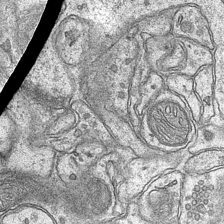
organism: Mouse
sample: CA1 Hippocampus